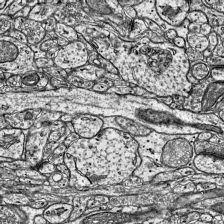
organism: Mouse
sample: Visual Cortex